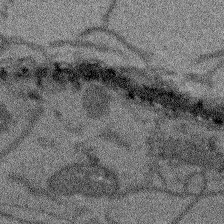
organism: Arabidopsis thaliana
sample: Root tip